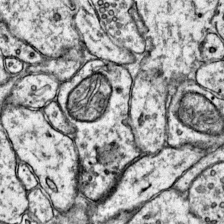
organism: Mouse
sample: Primary visual cortex